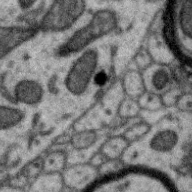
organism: Zebra finch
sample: Brain